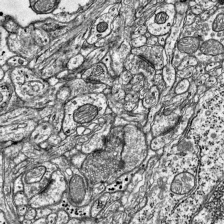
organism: Mouse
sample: Visual Cortex